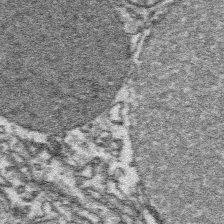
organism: Platynereis dumerilii